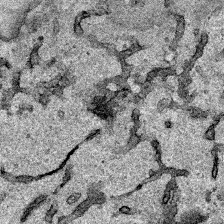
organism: Human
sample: Mitochondria in HCT116 cells